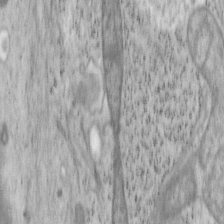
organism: Human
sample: HeLa cells